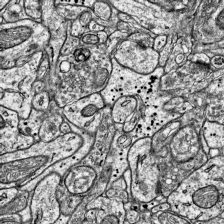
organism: Mouse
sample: Visual Cortex